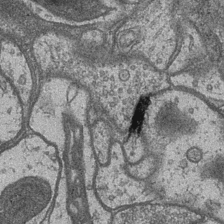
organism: Drosophila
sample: Optic medulla